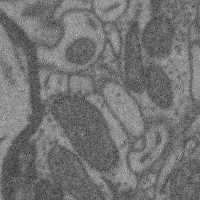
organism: Mouse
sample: Cerebral cortex